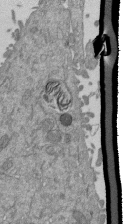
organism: Mouse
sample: ED-1 cell nuclei; centrioles